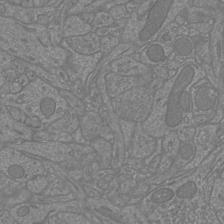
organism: Mouse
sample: Cortical neurons